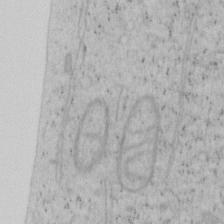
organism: Human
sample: HeLa cells